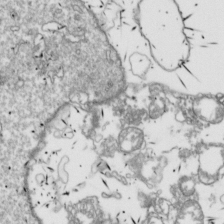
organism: Drosophila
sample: Cell division; meiosis; drosophila spermatocytes